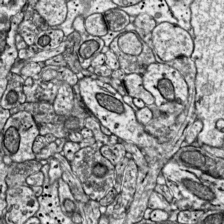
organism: Mouse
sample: Visual Cortex